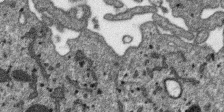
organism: Human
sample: Lung epithelial cells infected with SARS-CoV-2